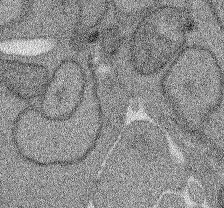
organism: Human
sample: HeLa cells